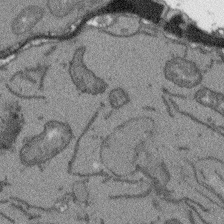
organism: Arabidopsis thaliana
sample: Root tip